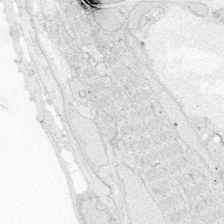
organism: Zebrafish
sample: Whole-Brain